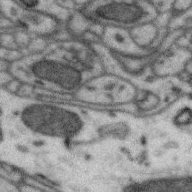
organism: Zebra finch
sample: Brain